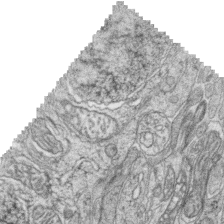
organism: Zebrafish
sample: synaptic ribbons in rod cells and cone cells